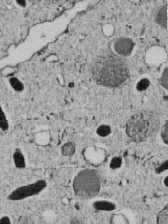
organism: C. elegans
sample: C. elegans embryo early stage